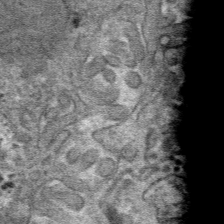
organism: Mouse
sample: Mouse hepatocytes